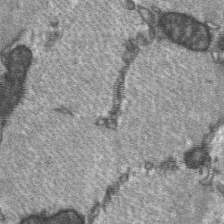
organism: C57BL Mouse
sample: Soleus